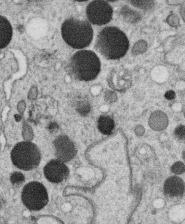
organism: C. elegans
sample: C. elegans oocyte; sperm cells